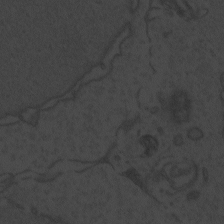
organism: Zebrafish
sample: Macrophage infected with Toxoplasma gondii